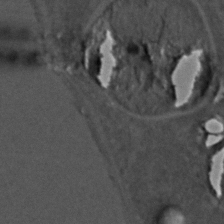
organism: C. elegans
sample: C. elegans embryo